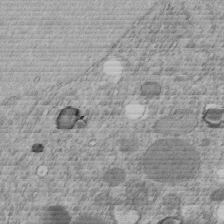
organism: C. elegans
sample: C. elegans embryo early stage